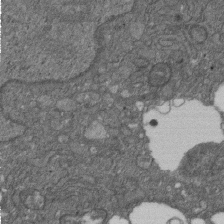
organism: Drosophila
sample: Nephrocyte